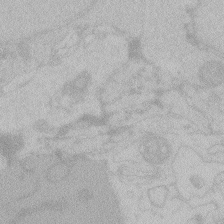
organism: Zebrafish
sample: Macrophage infected with Toxoplasma gondii